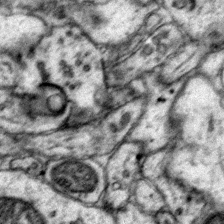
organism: Mouse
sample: Primary visual cortex